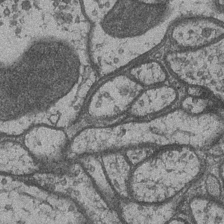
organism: Drosophila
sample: Optic medulla